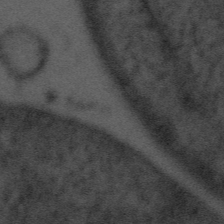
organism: Tuwongella immobilis